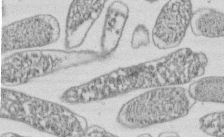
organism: E. coli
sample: Bacterial nucleoid